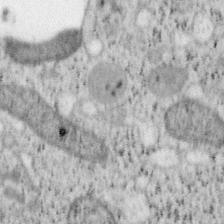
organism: Mouse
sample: OT-I killer T cells with ID8 ovarian cancer cells